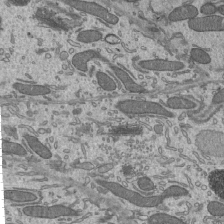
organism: Mouse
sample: Mouse epididymis efferent ductule cilia